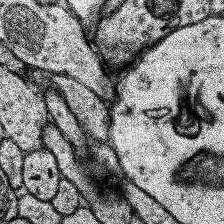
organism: Human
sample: Temporal Lobe